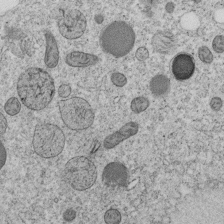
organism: C. elegans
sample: C. elegans embryo early stage